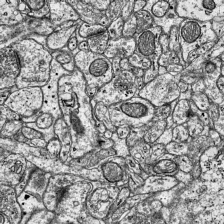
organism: Mouse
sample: Visual Cortex